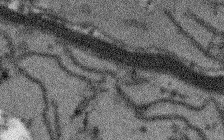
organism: Arabidopsis thaliana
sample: Root tip